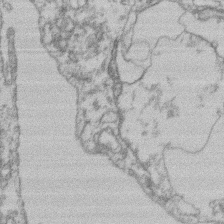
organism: Mouse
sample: T cell stromal cell synapse